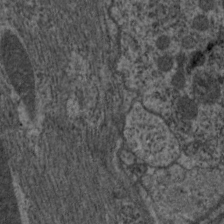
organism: C. elegans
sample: Pharynx